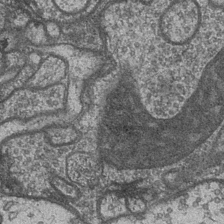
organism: Drosophila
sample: Optic medulla